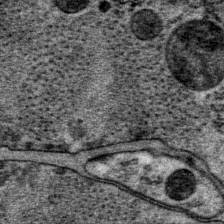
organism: P. pacificus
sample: Pharynx